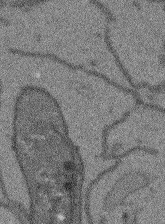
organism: Arabidopsis thaliana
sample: Root tip